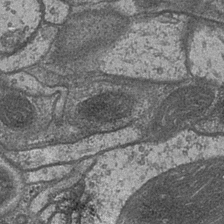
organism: Drosophila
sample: Optic medulla